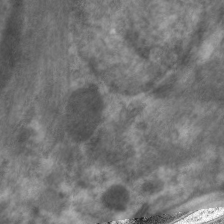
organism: C. elegans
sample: Pharynx